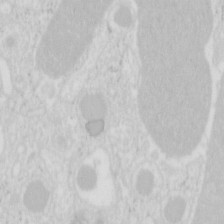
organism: Mouse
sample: Pancreas